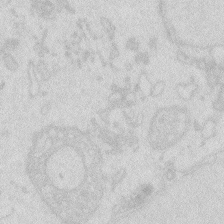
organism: Zebrafish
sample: Macrophage